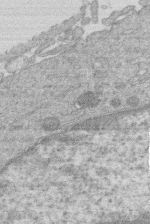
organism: Human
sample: Macrophage cells